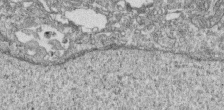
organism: Human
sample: HeLa cell HIV synapse